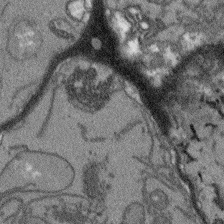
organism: Arabidopsis thaliana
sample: Root tip